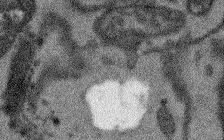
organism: Arabidopsis thaliana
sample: Root tip